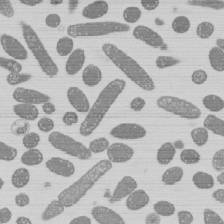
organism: E. coli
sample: Bacterial nucleoid